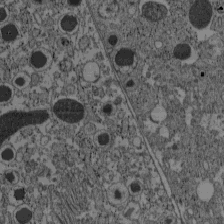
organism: C57BL Mouse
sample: Pancreatic islet